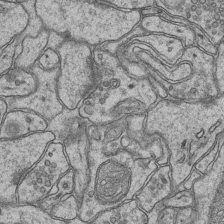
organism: Mouse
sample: CA1 Hippocampus